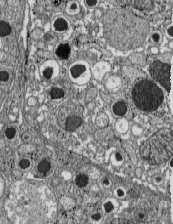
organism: C57BL Mouse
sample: Pancreatic islet